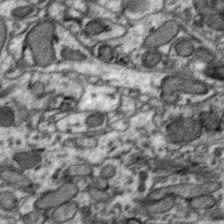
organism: Zebra finch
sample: Brain